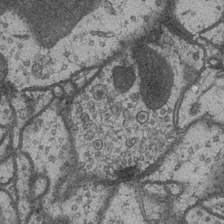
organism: Drosophila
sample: Optic medulla